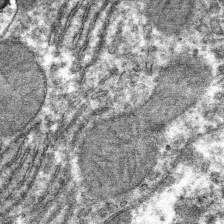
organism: Mouse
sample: Mouse hepatocytes